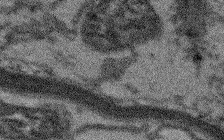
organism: Arabidopsis thaliana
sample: Root tip